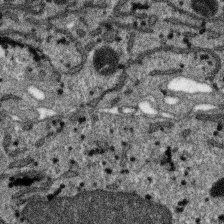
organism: Human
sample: Lung epithelial cells infected with SARS-CoV-2